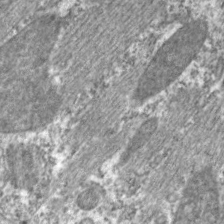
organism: C. elegans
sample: Pharynx